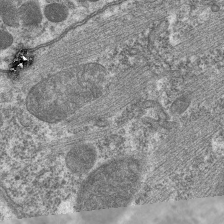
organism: C. elegans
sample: Pharynx